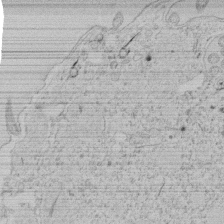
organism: Tetrahymena